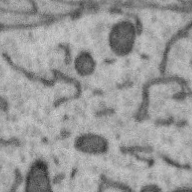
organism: Zebra finch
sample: Brain